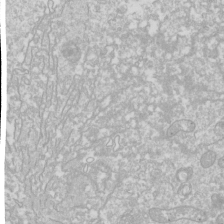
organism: Drosophila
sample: Cell division; meiosis; drosophila spermatocytes